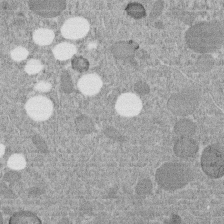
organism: C. elegans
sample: C. elegans embryo early stage